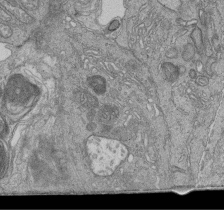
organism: Human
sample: Retinal organoid Rod and Cone cells